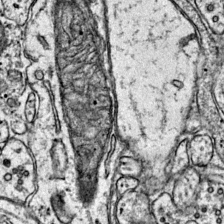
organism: Mouse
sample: Primary visual cortex